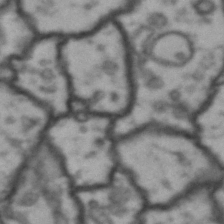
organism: Drosophila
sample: Brain